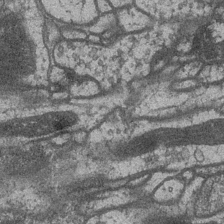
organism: Drosophila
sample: Optic medulla